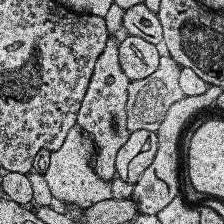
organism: Human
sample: Temporal Lobe